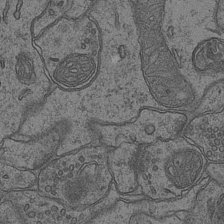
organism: Mouse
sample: CA1 Hippocampus